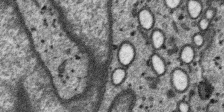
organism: Human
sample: Lung epithelial cells infected with SARS-CoV-2